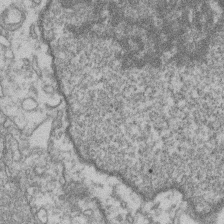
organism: Mouse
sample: T cell stromal cell synapse